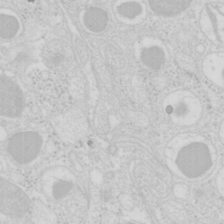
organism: Mouse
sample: Pancreas